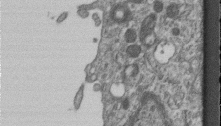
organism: Mouse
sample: Centriole in ependymal cells